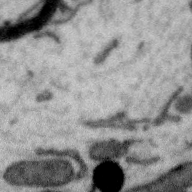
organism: Zebra finch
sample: Brain